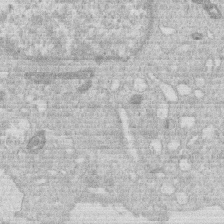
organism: Human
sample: Macrophage cells